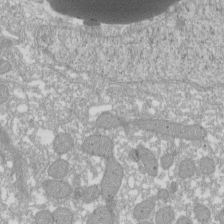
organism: Xenopus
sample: Cilia; centrioles in frog embryo cells